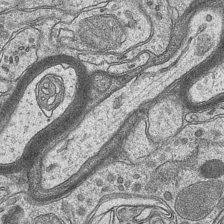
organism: Mouse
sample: CA1 Hippocampus